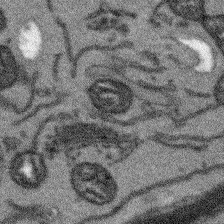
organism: Arabidopsis thaliana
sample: Root tip